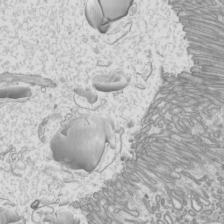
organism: Mouse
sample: Cilia; mouse epididymis